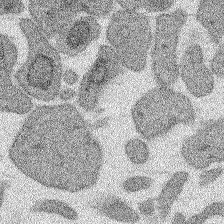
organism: Human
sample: HeLa cells